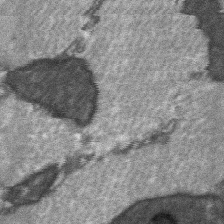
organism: C57BL Mouse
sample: Soleus